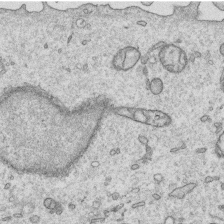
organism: Human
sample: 1205lu cells